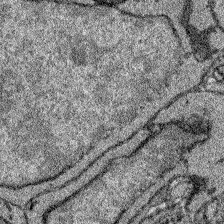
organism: Zebrafish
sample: Larval olfactory bulb